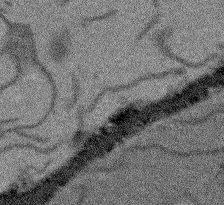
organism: Arabidopsis thaliana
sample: Root tip